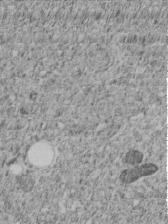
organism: C. elegans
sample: C. elegans embryo early stage